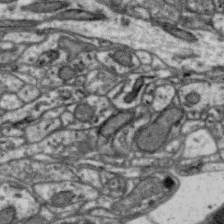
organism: Zebra finch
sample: Brain